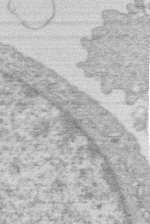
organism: Human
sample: Macrophage cells